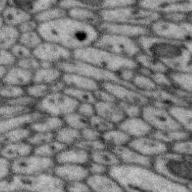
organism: Zebra finch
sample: Brain